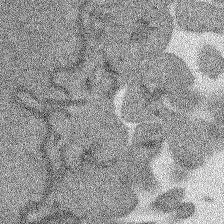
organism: Human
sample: HeLa cells